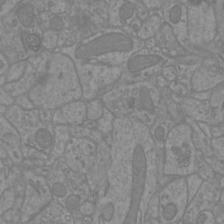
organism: Mouse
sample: Cortical neurons